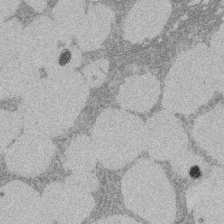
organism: Rat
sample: Salivary granule